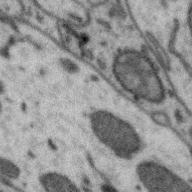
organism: Zebra finch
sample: Brain